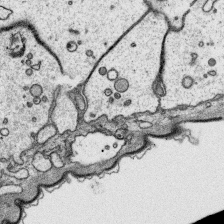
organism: Platynereis dumerilii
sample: Parapodia